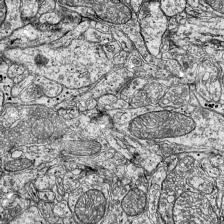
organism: Mouse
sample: Visual Cortex